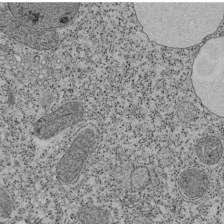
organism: Tetrahymena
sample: Cilia in tetrahymena